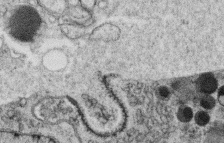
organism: C. elegans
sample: C. elegans oocyte; sperm cells